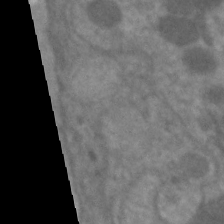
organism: C. elegans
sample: Pharynx